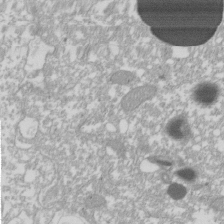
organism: Xenopus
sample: Cilia; centrioles in frog embryo cells